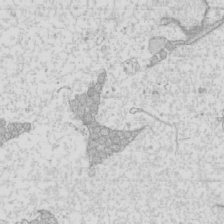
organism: Mouse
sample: Cilia; mouse epididymis